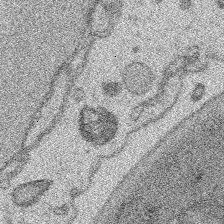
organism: Platynereis dumerilii